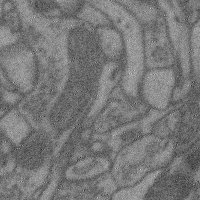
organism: Mouse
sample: Cerebral cortex